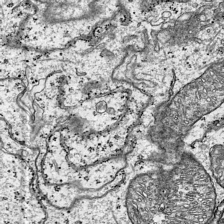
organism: Mouse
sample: Visual Cortex